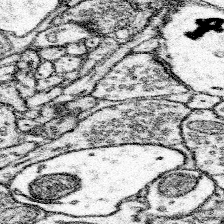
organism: Mouse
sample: Somatosensory cortex neuropil